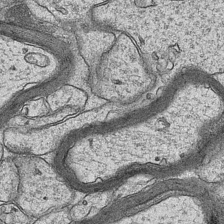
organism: Mouse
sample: CA1 Hippocampus